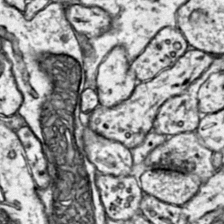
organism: Mouse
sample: Primary visual cortex